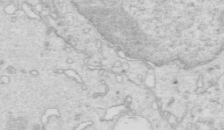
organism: Mouse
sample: Multiciliated cells